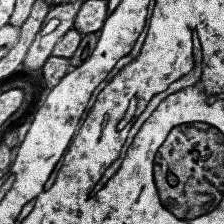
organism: Human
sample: Temporal Lobe